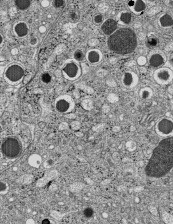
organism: C57BL Mouse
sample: Pancreatic islet